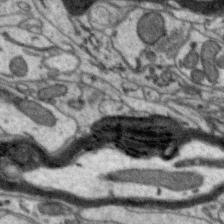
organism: Zebra finch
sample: Brain